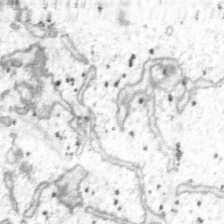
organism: Human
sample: HeLa cells